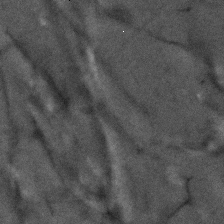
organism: Human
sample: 1205lu cells